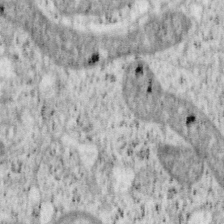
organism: Mouse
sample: OT-I killer T cells with ID8 ovarian cancer cells